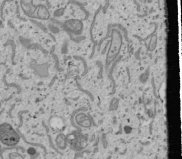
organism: Human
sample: Mitochondria in U2OS cells